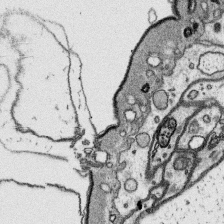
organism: Platynereis dumerilii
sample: Parapodia